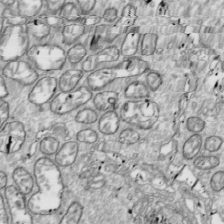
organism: Drosophila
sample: Cell division; meiosis; drosophila spermatocytes